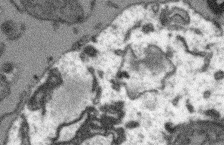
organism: Arabidopsis thaliana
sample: Root tip